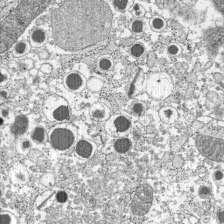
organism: C57BL Mouse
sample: Pancreatic islet